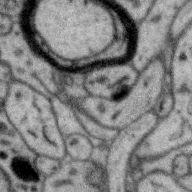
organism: Zebra finch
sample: Brain